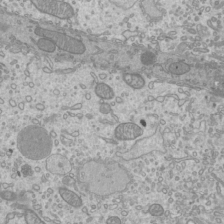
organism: Mouse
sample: Cilia; mouse epididymis